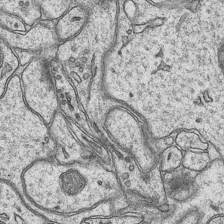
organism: Mouse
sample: CA1 Hippocampus